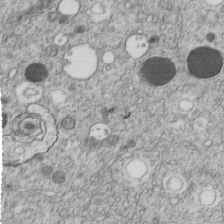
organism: C. elegans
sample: C. elegans embryo early stage